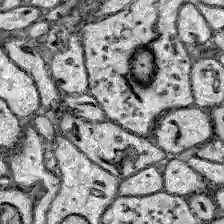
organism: Zebrafish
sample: Brain